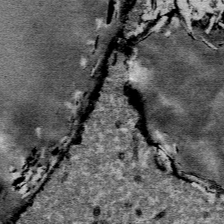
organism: Mouse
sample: Mouse Salivary gland